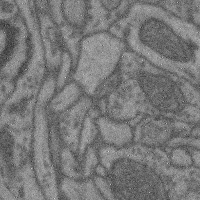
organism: Mouse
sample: Cerebral cortex